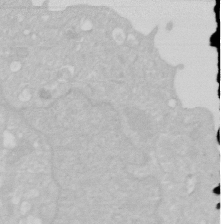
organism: Human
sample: HIV infected U937 cells